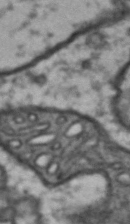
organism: Drosophila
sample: Brain